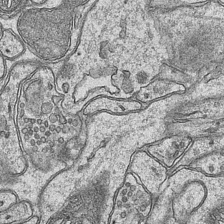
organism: Mouse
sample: CA1 Hippocampus